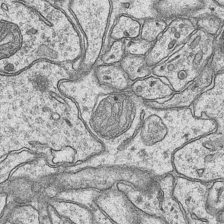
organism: Mouse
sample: CA1 Hippocampus